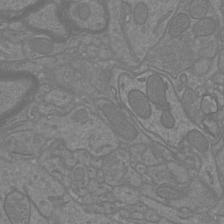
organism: Mouse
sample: Cortical neurons